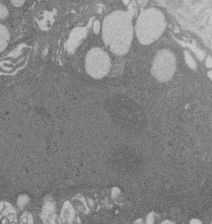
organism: Rat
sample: Salivary granule